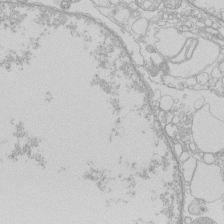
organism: Human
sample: Macrophage cells